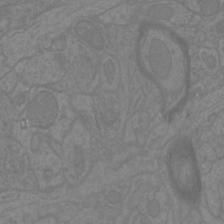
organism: Mouse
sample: Cortical neurons